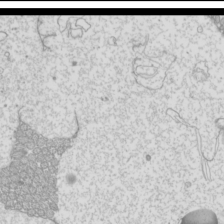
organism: Mouse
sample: Cilia; mouse epididymis